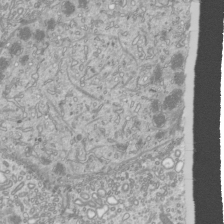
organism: Mouse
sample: Cilia; mouse epididymis